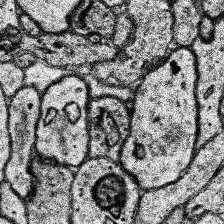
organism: Human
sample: Temporal Lobe